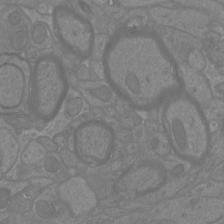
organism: Mouse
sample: Cortical neurons